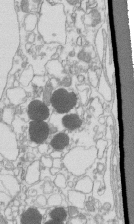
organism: Mouse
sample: Macrophages